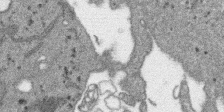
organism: Human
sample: Lung epithelial cells infected with SARS-CoV-2